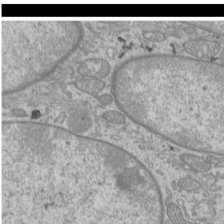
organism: Mouse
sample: Cilia; mouse epididymis